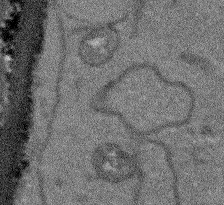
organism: Arabidopsis thaliana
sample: Root tip